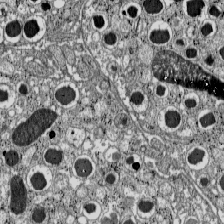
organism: C57BL Mouse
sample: Pancreatic islet